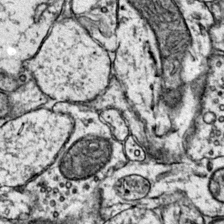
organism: Mouse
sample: Primary visual cortex